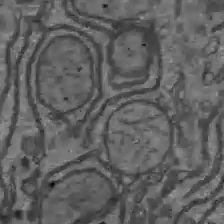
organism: C57BL Mouse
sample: Liver